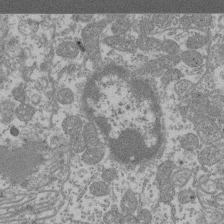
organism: Mouse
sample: Glomerulus